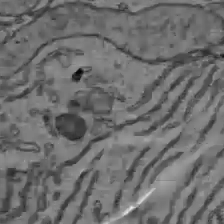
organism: C57BL Mouse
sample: Liver